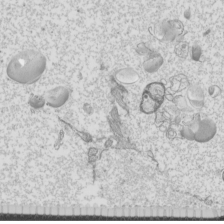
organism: Mouse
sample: Cilia; mouse epididymis